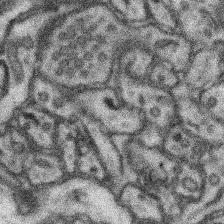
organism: Mouse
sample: Somatosensory cortex neuropil